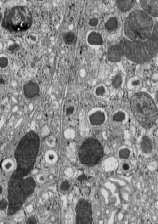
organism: C57BL Mouse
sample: Pancreatic islet